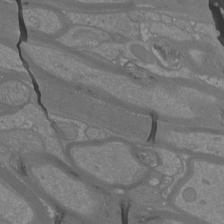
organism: Mouse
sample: Cortical neurons